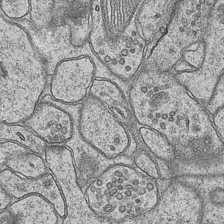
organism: Mouse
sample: CA1 Hippocampus